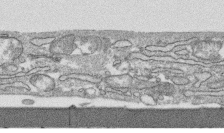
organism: Human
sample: CRL-1474